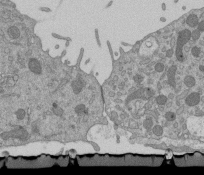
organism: Mouse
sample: ED-1 cell nuclei; centrioles